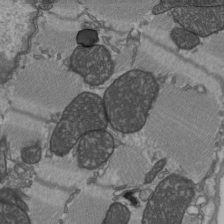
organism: C57BL Mouse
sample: Heart